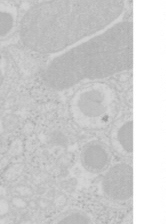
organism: Mouse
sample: Pancreas